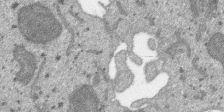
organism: Human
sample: Lung epithelial cells infected with SARS-CoV-2